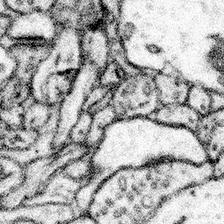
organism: Mouse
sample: Somatosensory cortex neuropil